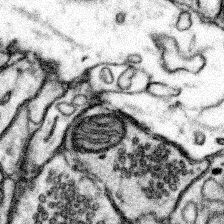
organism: Mouse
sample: Somatosensory cortex neuropil